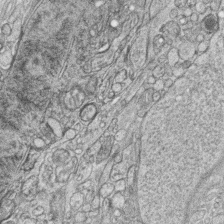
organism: Zebrafish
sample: synaptic ribbons in rod cells and cone cells